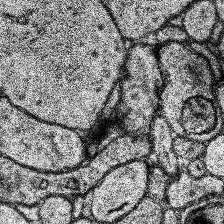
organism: Human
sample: Temporal Lobe